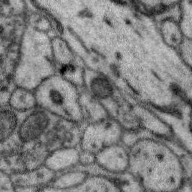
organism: Zebra finch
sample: Brain